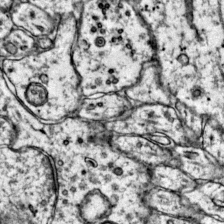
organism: Mouse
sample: Primary visual cortex